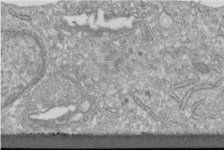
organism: Human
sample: Centriole in fibroblast cells